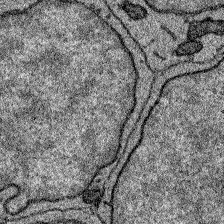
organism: Zebrafish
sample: Larval olfactory bulb